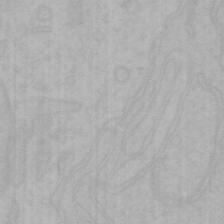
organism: Mouse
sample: Choroid plexus